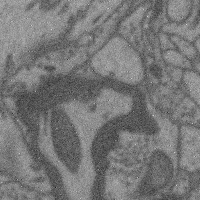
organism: Mouse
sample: Cerebral cortex